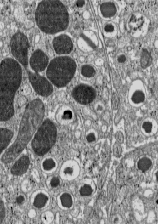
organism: C57BL Mouse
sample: Pancreatic islet